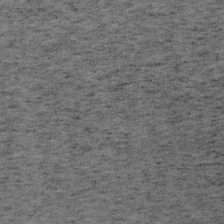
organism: Mouse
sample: OT-I killer T cells with ID8 ovarian cancer cells